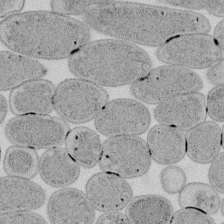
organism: E. coli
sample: Bacterial nucleoid